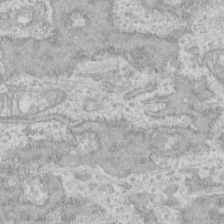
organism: Human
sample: CRL-1474